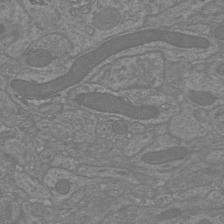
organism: Mouse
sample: Cortical neurons